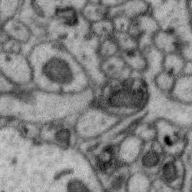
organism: Zebra finch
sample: Brain